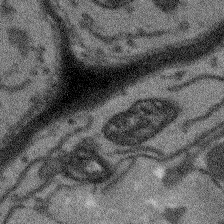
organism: Arabidopsis thaliana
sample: Root tip